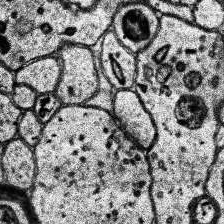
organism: Human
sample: Temporal Lobe